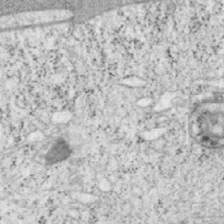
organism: Mouse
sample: OT-I killer T cells with ID8 ovarian cancer cells